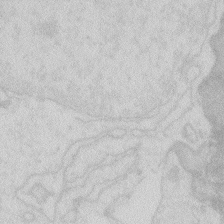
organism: Zebrafish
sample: Macrophage